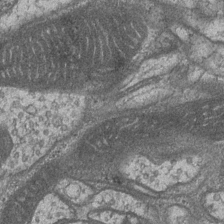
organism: Drosophila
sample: Optic medulla